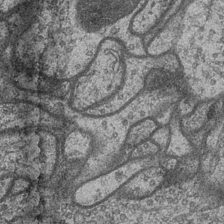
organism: Drosophila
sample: Optic medulla